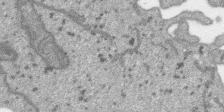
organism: Human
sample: Lung epithelial cells infected with SARS-CoV-2